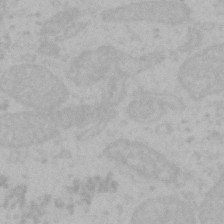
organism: Mouse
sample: Choroid plexus